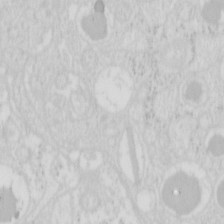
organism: Mouse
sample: Pancreas